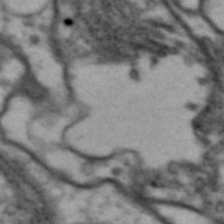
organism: Drosophila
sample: Brain